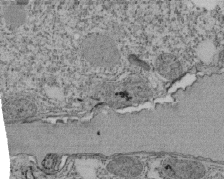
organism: Tetrahymena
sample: Cilia in tetrahymena